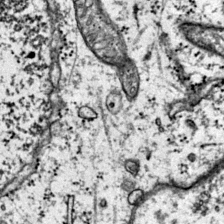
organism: Mouse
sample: Primary visual cortex